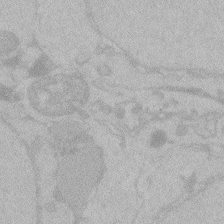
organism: Zebrafish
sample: Macrophage infected with Toxoplasma gondii